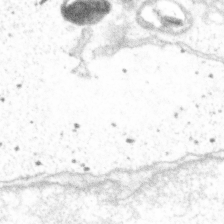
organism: Human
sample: HeLa cells